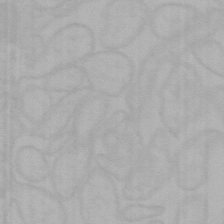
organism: Mouse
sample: Choroid plexus